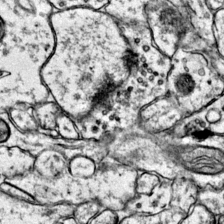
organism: Mouse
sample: Primary visual cortex